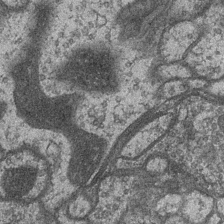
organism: Drosophila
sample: Optic medulla